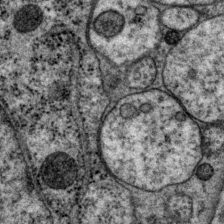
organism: P. pacificus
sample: Pharynx